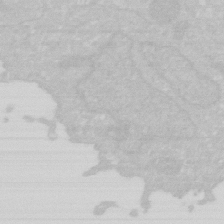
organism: Human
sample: HIV infected U937 cells